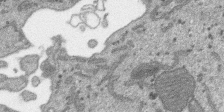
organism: Human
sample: Lung epithelial cells infected with SARS-CoV-2